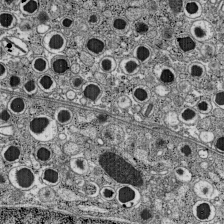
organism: C57BL Mouse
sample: Pancreatic islet